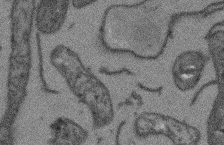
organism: Arabidopsis thaliana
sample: Root tip